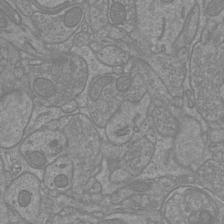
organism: Mouse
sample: Cortical neurons